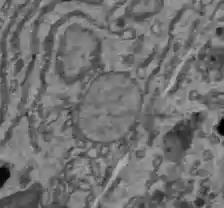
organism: C57BL Mouse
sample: Liver